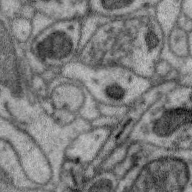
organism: Zebra finch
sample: Brain